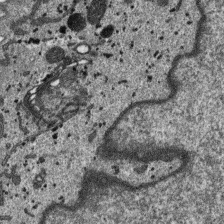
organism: Human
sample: Lung epithelial cells infected with SARS-CoV-2